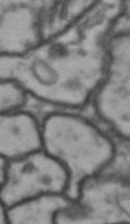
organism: Drosophila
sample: Brain